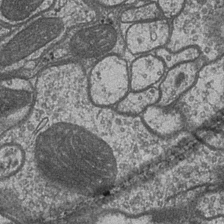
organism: Drosophila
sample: Optic medulla